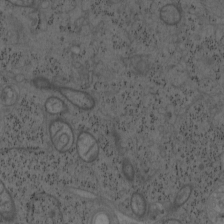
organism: Mouse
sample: OT-I killer T cells with ID8 ovarian cancer cells